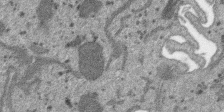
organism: Human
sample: Lung epithelial cells infected with SARS-CoV-2